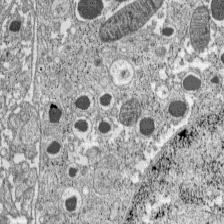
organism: C57BL Mouse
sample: Pancreatic islet